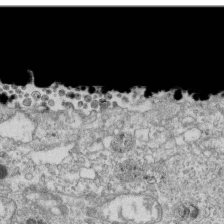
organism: Human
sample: HeLa cell HIV synapse